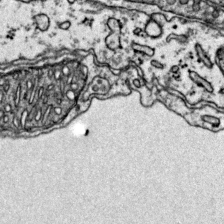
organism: Mouse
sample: Primary visual cortex